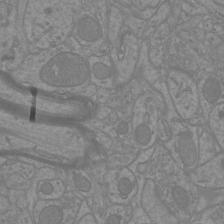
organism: Mouse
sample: Cortical neurons